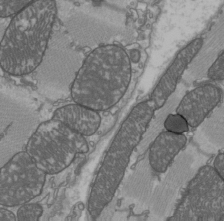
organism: C57BL Mouse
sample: Heart